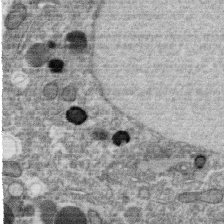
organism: C. elegans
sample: C. elegans oocyte; sperm cells